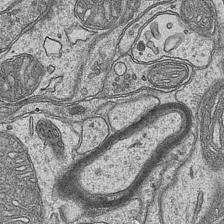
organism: Mouse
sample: CA1 Hippocampus